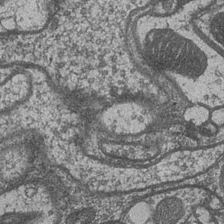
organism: Drosophila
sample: Optic medulla